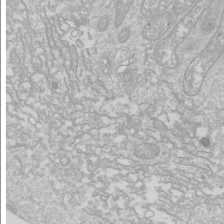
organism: Drosophila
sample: Cell division; meiosis; drosophila spermatocytes